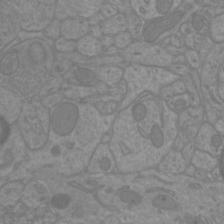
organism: Mouse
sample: Cortical neurons